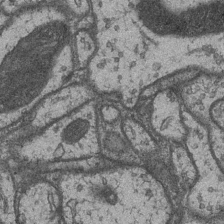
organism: Drosophila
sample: Optic medulla